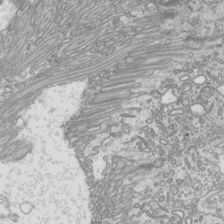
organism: Mouse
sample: Cilia; mouse epididymis